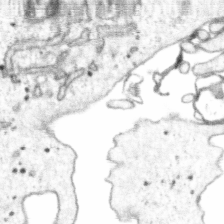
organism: Human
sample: HeLa cells